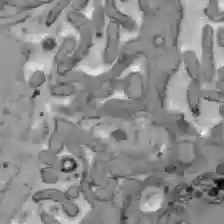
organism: C57BL Mouse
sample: Liver